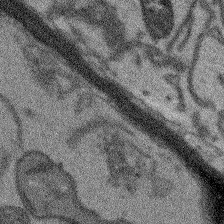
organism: Arabidopsis thaliana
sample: Root tip